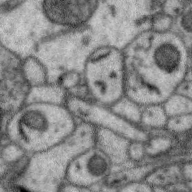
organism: Zebra finch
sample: Brain